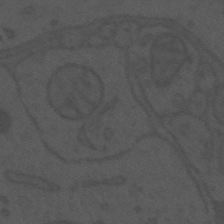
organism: Mouse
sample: Suprachiasmatic nucleus